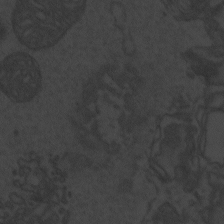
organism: Zebrafish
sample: Macrophage infected with Toxoplasma gondii